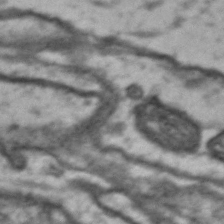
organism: Drosophila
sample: Brain